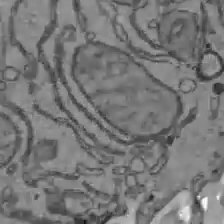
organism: C57BL Mouse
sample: Liver